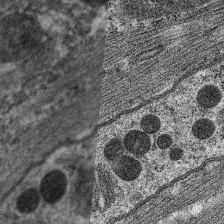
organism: C. elegans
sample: Pharynx